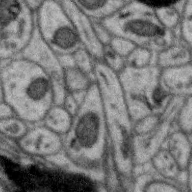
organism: Zebra finch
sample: Brain